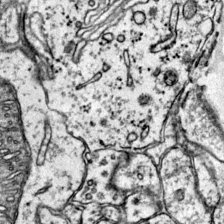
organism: Mouse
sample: Primary visual cortex